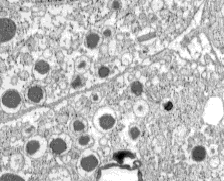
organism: C57BL Mouse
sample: Pancreatic islet